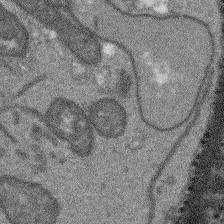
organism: Arabidopsis thaliana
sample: Root tip